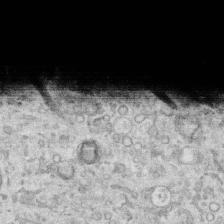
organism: Human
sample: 1205lu cells